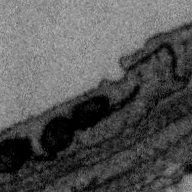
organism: Zebra finch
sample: Brain